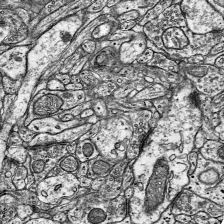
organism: Mouse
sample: Visual Cortex